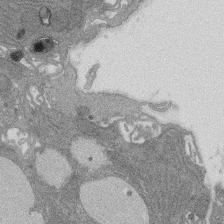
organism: Rat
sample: Salivary granule